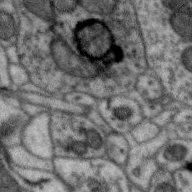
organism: Zebra finch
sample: Brain